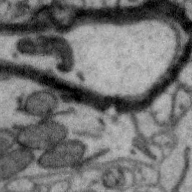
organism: Zebra finch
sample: Brain